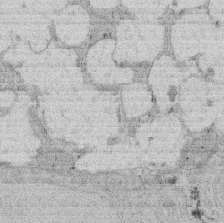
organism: Rat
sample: Salivary granule